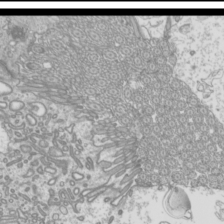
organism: Mouse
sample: Cilia; mouse epididymis